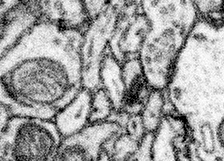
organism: Mouse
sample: Somatosensory cortex neuropil